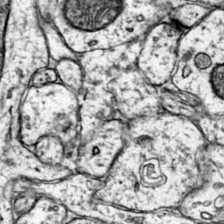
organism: Mouse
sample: Primary visual cortex